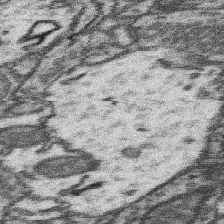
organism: Mouse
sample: Somatosensory cortex neuropil